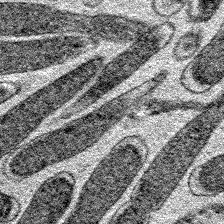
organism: E. coli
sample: E. Coli Bacteria